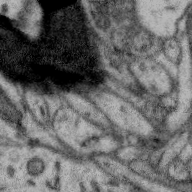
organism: Zebra finch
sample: Brain